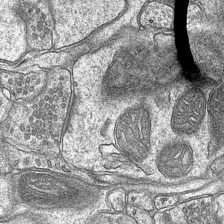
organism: Mouse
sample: CA1 Hippocampus